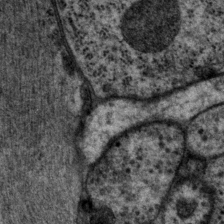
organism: P. pacificus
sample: Pharynx